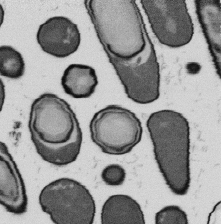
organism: B. subtilis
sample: Bacterial spore